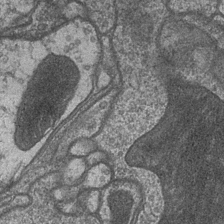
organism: Drosophila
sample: Optic medulla